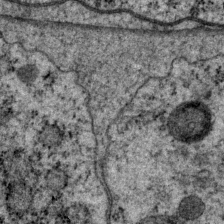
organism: P. pacificus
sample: Pharynx